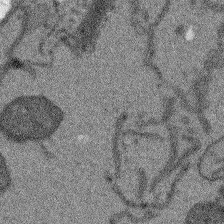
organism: Arabidopsis thaliana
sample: Root tip